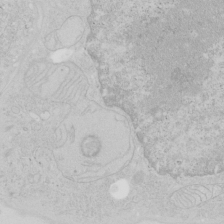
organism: Human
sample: Mitochondria in HCT116 cells